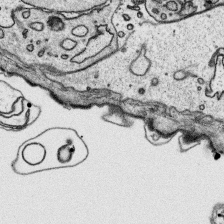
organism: Platynereis dumerilii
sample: Parapodia